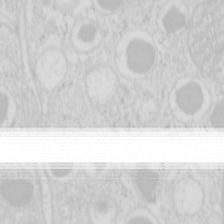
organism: Mouse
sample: Pancreas